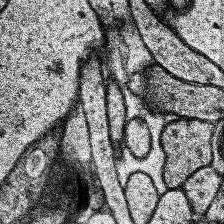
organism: Human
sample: Temporal Lobe